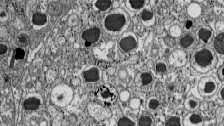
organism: C57BL Mouse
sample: Pancreatic islet